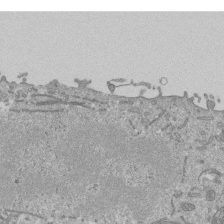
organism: Mouse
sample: ED-1 cell nuclei; centrioles